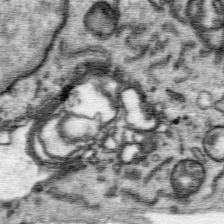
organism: Human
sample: HeLa cells